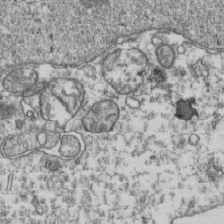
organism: Human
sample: Activated Jurkat CD4+ T cells